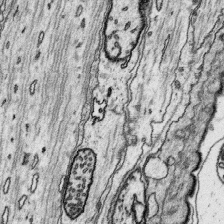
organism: Platynereis dumerilii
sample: Parapodia